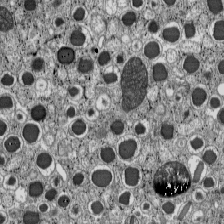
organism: C57BL Mouse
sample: Pancreatic islet